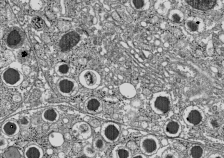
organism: C57BL Mouse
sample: Pancreatic islet